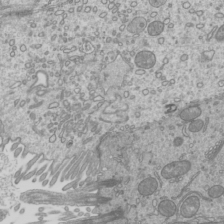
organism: Mouse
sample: Cilia; mouse epididymis